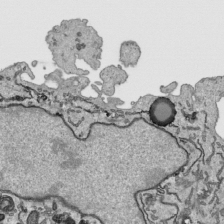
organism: Human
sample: Mitochondria in HCT116 cells